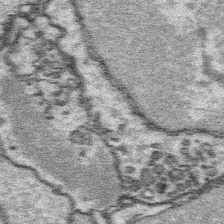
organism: Platynereis dumerilii